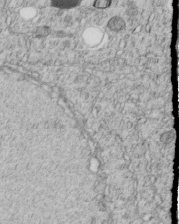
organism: C. elegans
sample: C. elegans embryo early stage